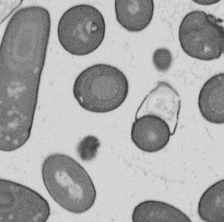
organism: B. subtilis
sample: Bacterial spore